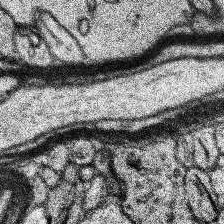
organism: Human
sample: Temporal Lobe